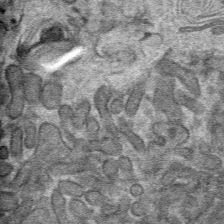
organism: Mouse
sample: Mouse hepatocytes